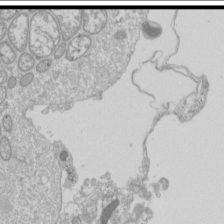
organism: Drosophila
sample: Cell division; meiosis; drosophila spermatocytes